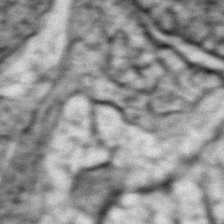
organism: Zebrafish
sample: Zebrafish embryo